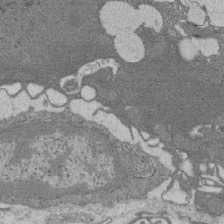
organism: Rat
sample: Salivary granule